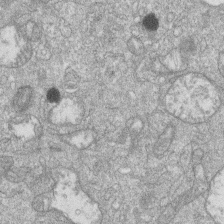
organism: Human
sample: HeLa cell HIV synapse